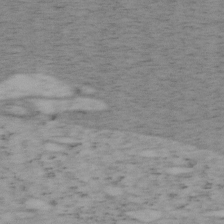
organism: Mouse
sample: OT-I killer T cells with ID8 ovarian cancer cells